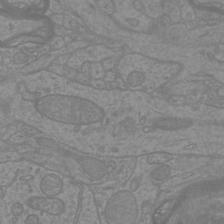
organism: Mouse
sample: Cortical neurons